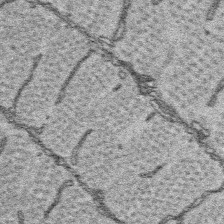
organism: Platynereis dumerilii